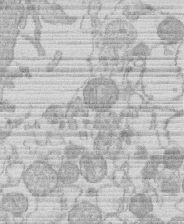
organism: Human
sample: Macrophage cells